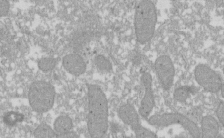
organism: Xenopus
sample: Cilia; centrioles in frog embryo cells